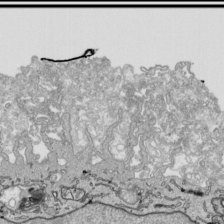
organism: Human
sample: Mitochondria in HCT116 cells